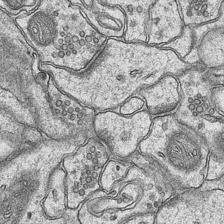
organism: Mouse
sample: CA1 Hippocampus